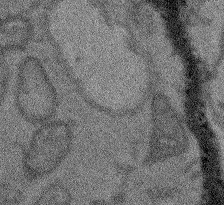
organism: Arabidopsis thaliana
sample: Root tip